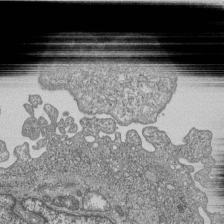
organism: Human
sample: MDA-MB-231 cells